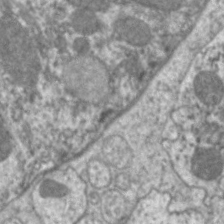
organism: C. elegans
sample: Pharynx